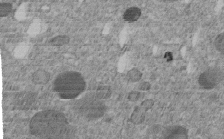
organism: C. elegans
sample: C. elegans embryo early stage